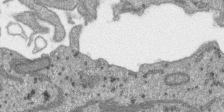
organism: Human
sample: Lung epithelial cells infected with SARS-CoV-2